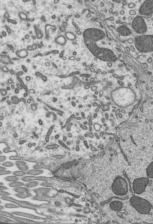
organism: Mouse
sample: Mouse epididymis efferent ductule cilia